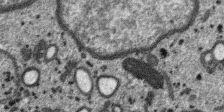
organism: Human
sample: Lung epithelial cells infected with SARS-CoV-2